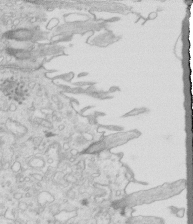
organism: Mouse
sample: Multiciliated cells